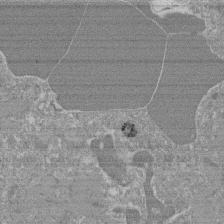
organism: Mouse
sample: Glomerulus